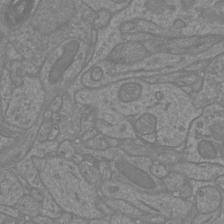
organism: Mouse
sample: Cortical neurons